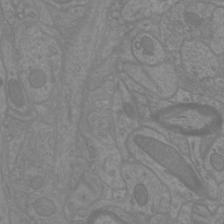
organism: Mouse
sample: Cortical neurons